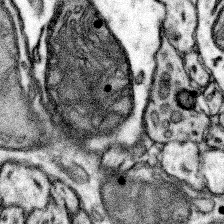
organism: Mouse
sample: Somatosensory cortex neuropil